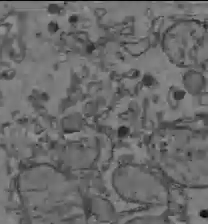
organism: C57BL Mouse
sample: Liver